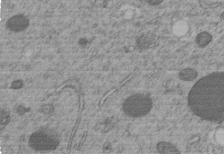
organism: C. elegans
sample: C. elegans embryo early stage